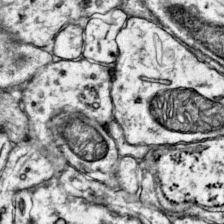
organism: Mouse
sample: Primary visual cortex